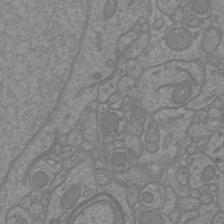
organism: Mouse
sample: Cortical neurons